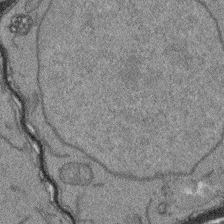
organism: Arabidopsis thaliana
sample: Root tip